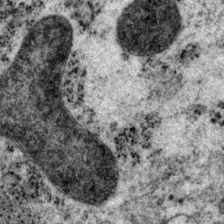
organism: P. pacificus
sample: Pharynx